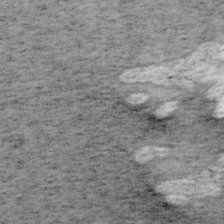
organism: Mouse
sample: OT-I killer T cells with ID8 ovarian cancer cells